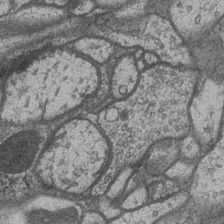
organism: Drosophila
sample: Optic medulla